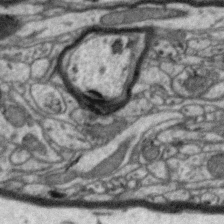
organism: Zebra finch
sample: Brain